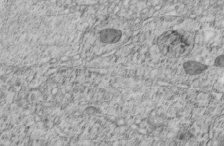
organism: C. elegans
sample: C. elegans embryo early stage